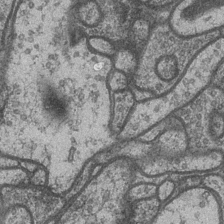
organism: Drosophila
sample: Optic medulla